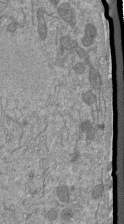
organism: Mouse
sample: ED-1 cell nuclei; centrioles